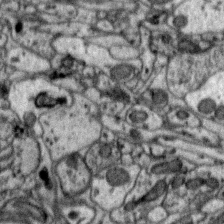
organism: Zebra finch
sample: Brain